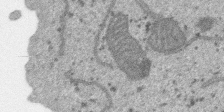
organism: Human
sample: Lung epithelial cells infected with SARS-CoV-2